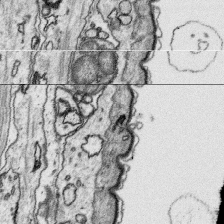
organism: Platynereis dumerilii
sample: Parapodia